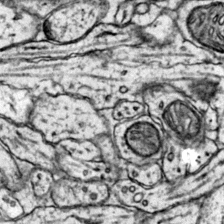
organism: Mouse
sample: Primary visual cortex